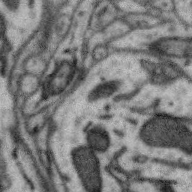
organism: Zebra finch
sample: Brain